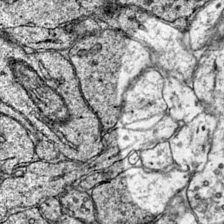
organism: Mouse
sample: Primary visual cortex